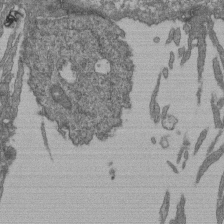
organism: Human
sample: Retinal organoid Rod and Cone cells